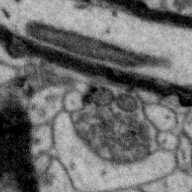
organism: Zebra finch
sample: Brain